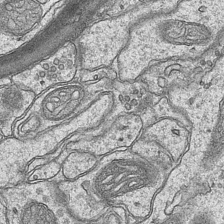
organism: Mouse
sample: CA1 Hippocampus